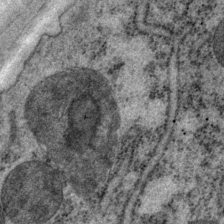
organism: P. pacificus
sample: Pharynx